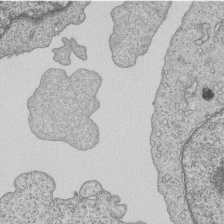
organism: Human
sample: MDA-MB-231 cells